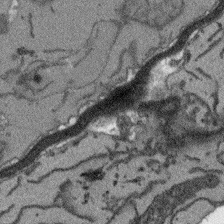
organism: Arabidopsis thaliana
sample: Root tip